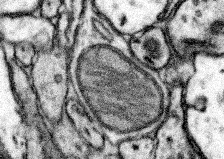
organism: Mouse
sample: Somatosensory cortex neuropil